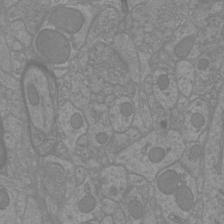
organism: Mouse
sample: Cortical neurons